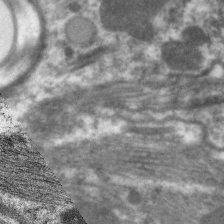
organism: C. elegans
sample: Pharynx